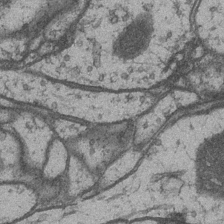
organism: Drosophila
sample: Optic medulla